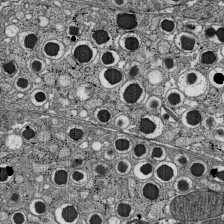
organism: C57BL Mouse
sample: Pancreatic islet